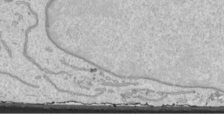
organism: Human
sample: Mitochondria in HCT116 cells